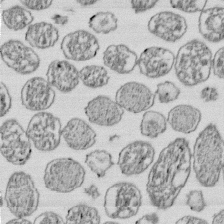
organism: E. coli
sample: Bacterial nucleoid